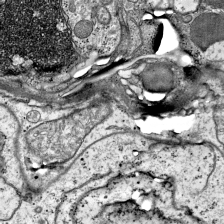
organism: Mouse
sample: Visual Cortex